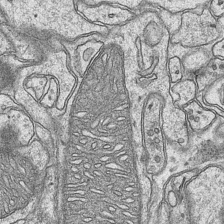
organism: Mouse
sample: CA1 Hippocampus